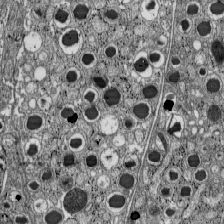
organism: C57BL Mouse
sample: Pancreatic islet